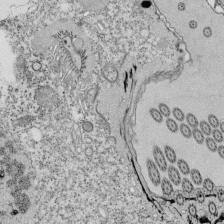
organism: Tetrahymena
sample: Cilia in tetrahymena